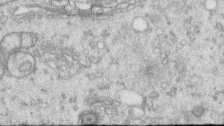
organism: Human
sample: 1205lu cells